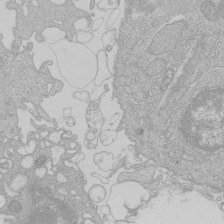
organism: Human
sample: Macrophage cells